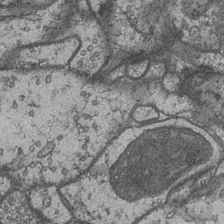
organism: Drosophila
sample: Optic medulla